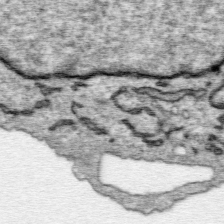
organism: Human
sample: HeLa cells